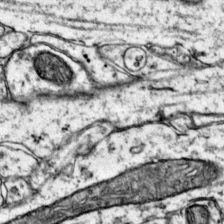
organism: Mouse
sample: Primary visual cortex